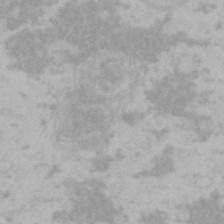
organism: Mouse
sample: Choroid plexus